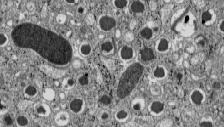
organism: C57BL Mouse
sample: Pancreatic islet